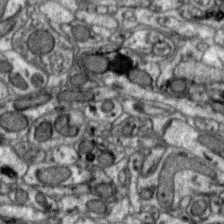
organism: Zebra finch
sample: Brain